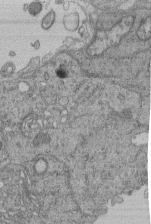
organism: Human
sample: Retinal organoid Rod and Cone cells